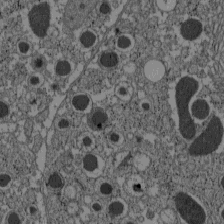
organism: C57BL Mouse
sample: Pancreatic islet